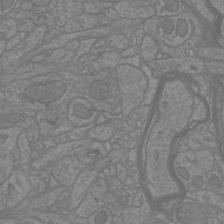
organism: Mouse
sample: Cortical neurons